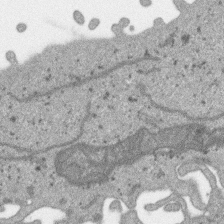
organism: Human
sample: Lung epithelial cells infected with SARS-CoV-2